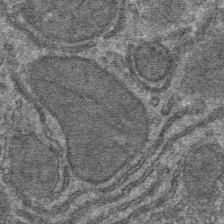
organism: Mouse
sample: Mouse hepatocytes